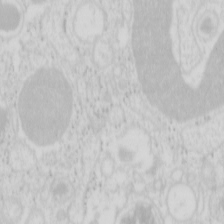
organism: Mouse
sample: Pancreas